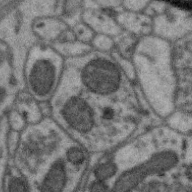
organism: Zebra finch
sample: Brain